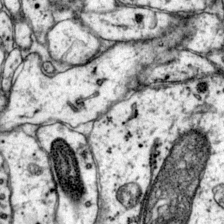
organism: Mouse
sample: Primary visual cortex